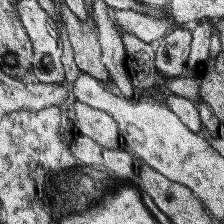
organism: Human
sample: Temporal Lobe